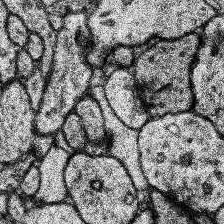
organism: Human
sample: Temporal Lobe